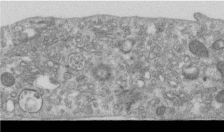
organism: Human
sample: Centriole in RPE cells